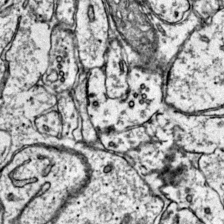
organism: Mouse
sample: Primary visual cortex